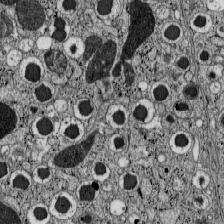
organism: C57BL Mouse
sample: Pancreatic islet